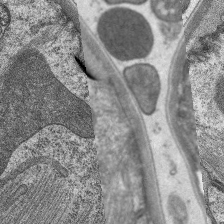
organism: C. elegans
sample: Pharynx